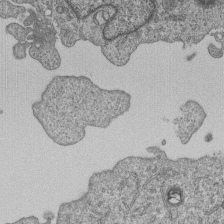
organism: Human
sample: MDA-MB-231 cells